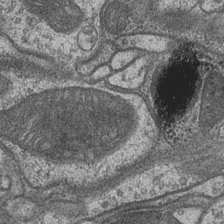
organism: Drosophila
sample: Optic medulla